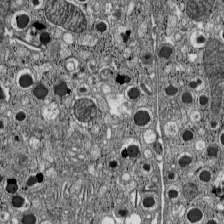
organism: C57BL Mouse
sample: Pancreatic islet